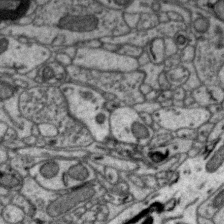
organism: Zebra finch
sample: Brain